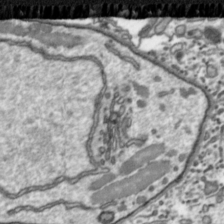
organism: Toxoplasma gondii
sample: Parasites in a vacuole inside a host cell